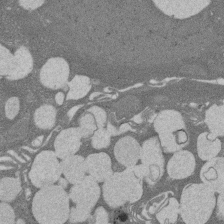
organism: Rat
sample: Salivary granule